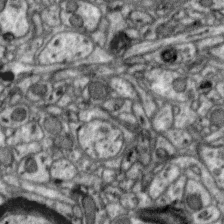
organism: Zebra finch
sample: Brain